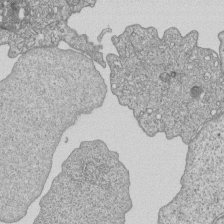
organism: Human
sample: MDA-MB-231 cells